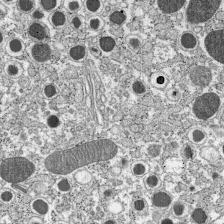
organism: C57BL Mouse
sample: Pancreatic islet